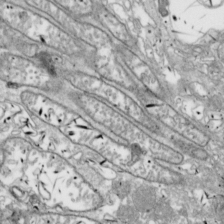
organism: Drosophila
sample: Cell division; meiosis; drosophila spermatocytes